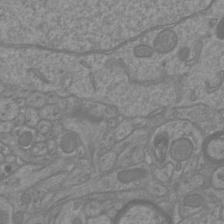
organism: Mouse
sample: Cortical neurons